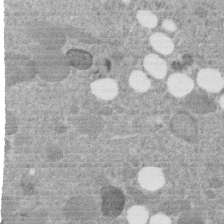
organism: C. elegans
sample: C. elegans embryo early stage